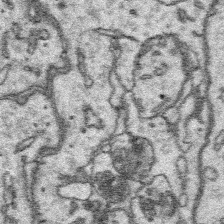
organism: Platynereis dumerilii